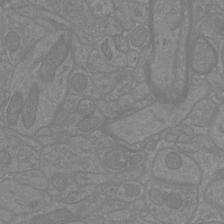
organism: Mouse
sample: Cortical neurons